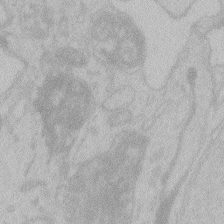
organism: Zebrafish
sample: Macrophage infected with Toxoplasma gondii